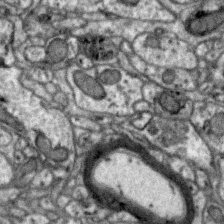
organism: Zebra finch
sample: Brain